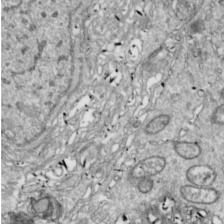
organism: Drosophila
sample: Cell division; meiosis; drosophila spermatocytes